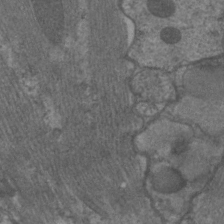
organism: C. elegans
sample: Pharynx